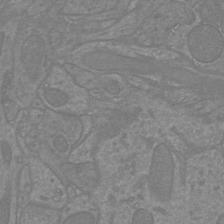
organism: Mouse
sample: Cortical neurons